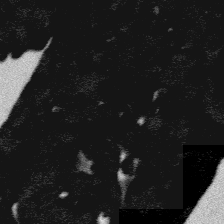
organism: Platynereis dumerilii